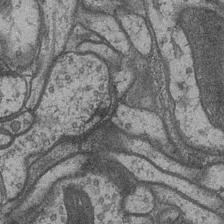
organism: Drosophila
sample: Optic medulla